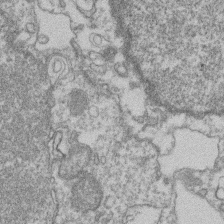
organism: Mouse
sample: T cell stromal cell synapse